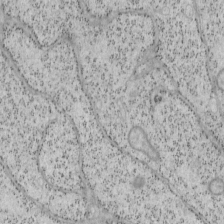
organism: Mouse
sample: OT-I killer T cells with ID8 ovarian cancer cells